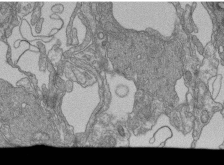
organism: Human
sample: Retinal organoid Rod and Cone cells